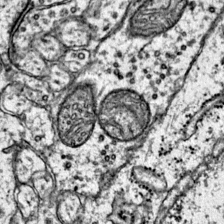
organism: Mouse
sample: Primary visual cortex